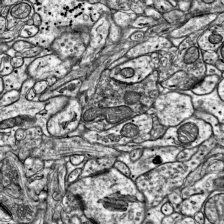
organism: Mouse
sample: Visual Cortex